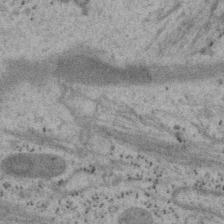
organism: Human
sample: HeLa cells